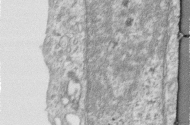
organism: Human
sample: Centriole in RPE cells